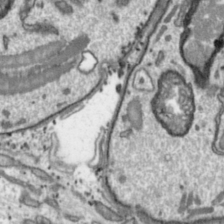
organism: Toxoplasma gondii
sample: Parasites in a vacuole inside a host cell